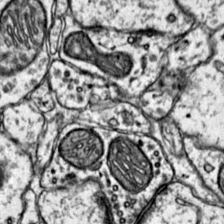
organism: Mouse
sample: Primary visual cortex